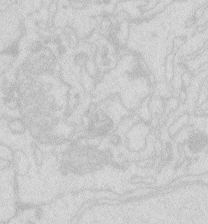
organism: Zebrafish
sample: Macrophage